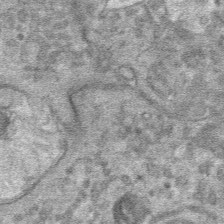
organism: Mouse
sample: Mouse hepatocytes